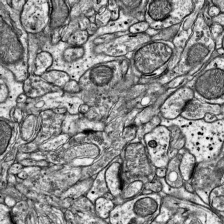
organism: Mouse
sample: Visual Cortex